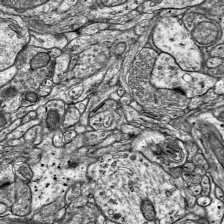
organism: Mouse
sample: Visual Cortex